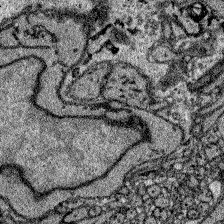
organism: Zebrafish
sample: Larval olfactory bulb